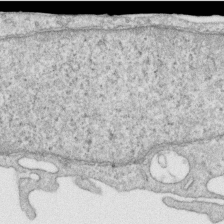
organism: Human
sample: Centriole in RPE cells